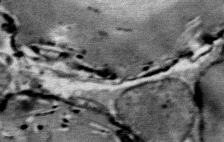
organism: Mouse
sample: Mouse Salivary gland